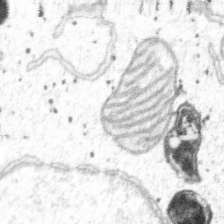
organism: Human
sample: HeLa cells